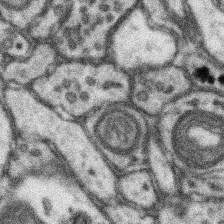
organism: Mouse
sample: Somatosensory cortex neuropil